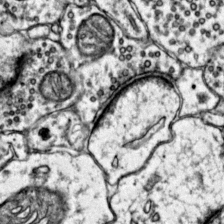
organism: Mouse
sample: Primary visual cortex